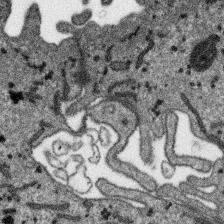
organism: Human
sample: Lung epithelial cells infected with SARS-CoV-2